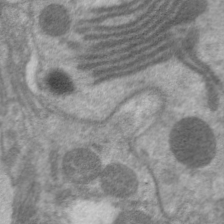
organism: C. elegans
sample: Pharynx